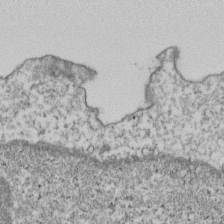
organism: Human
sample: Activated Jurkat CD4+ T cells